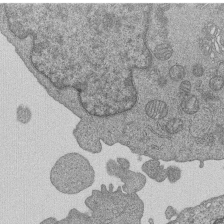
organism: Human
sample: MDA-MB-231 cells